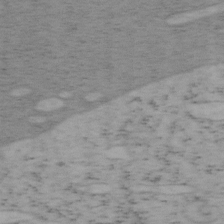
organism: Mouse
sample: OT-I killer T cells with ID8 ovarian cancer cells